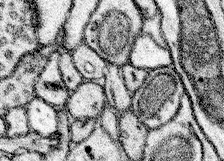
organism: Mouse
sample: Somatosensory cortex neuropil